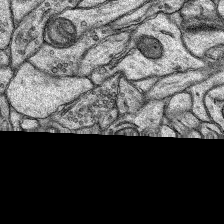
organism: Rat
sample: Hippocampus